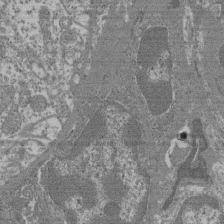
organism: Mouse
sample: Glomerulus